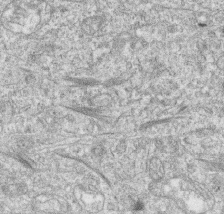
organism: Human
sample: HeLa cell HIV synapse